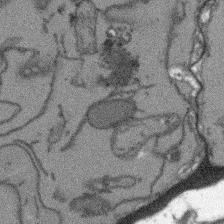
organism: Arabidopsis thaliana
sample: Root tip